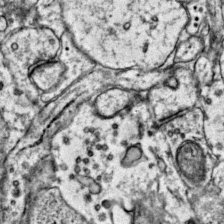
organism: Mouse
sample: Primary visual cortex